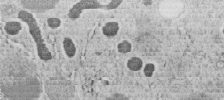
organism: C. elegans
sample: C. elegans embryo early stage